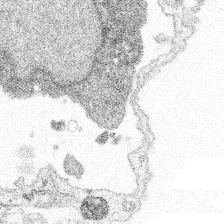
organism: Spongilla lacustris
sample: Multiple